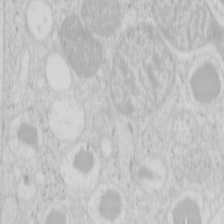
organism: Mouse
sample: Pancreas